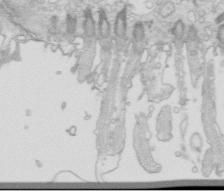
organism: Mouse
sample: Multiciliated cells